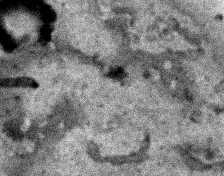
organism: Human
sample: Mitochondria in HCT116 cells